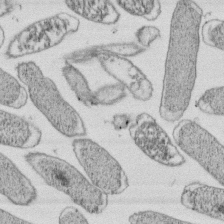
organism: E. coli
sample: Bacterial nucleoid